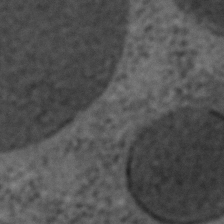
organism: C. elegans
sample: C. elegans embryo